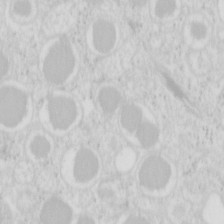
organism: Mouse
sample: Pancreas